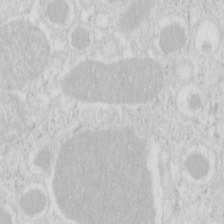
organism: Mouse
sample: Pancreas